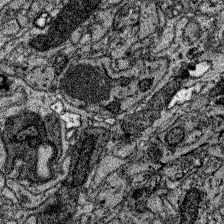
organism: Zebrafish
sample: Larval olfactory bulb